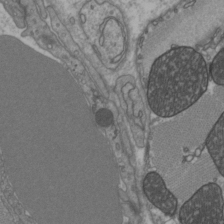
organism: C57BL Mouse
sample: Heart